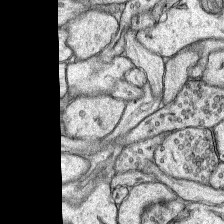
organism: Rat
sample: Hippocampus